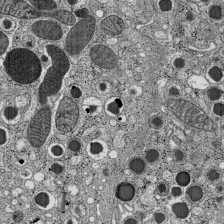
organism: C57BL Mouse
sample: Pancreatic islet